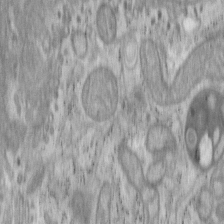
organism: Human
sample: HeLa cells